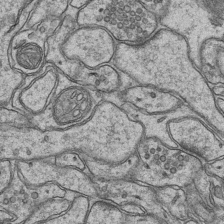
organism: Mouse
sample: CA1 Hippocampus